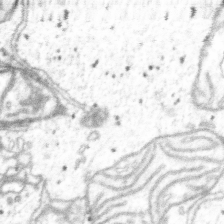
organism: Human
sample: HeLa cells